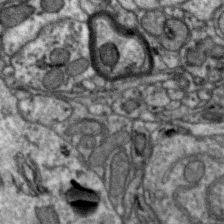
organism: Zebra finch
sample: Brain